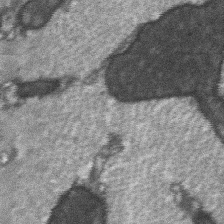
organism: C57BL Mouse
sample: Soleus